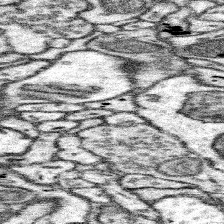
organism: Mouse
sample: Somatosensory cortex neuropil